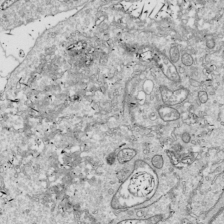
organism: Drosophila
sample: Cell division; meiosis; drosophila spermatocytes